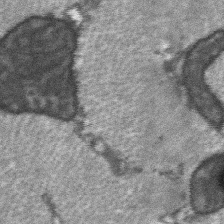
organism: C57BL Mouse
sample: Soleus